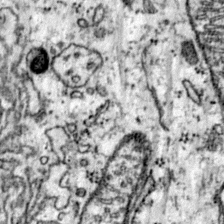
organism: Mouse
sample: Primary visual cortex